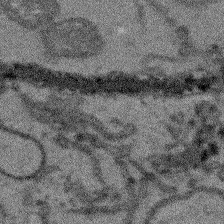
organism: Arabidopsis thaliana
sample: Root tip